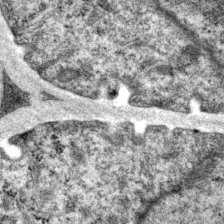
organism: P. pacificus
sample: Pharynx